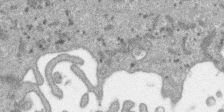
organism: Human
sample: Lung epithelial cells infected with SARS-CoV-2